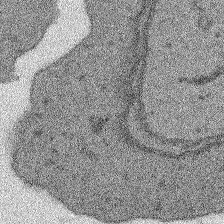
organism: Human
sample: HeLa cells